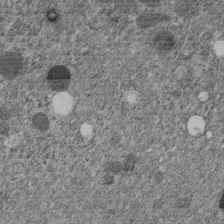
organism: C. elegans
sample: C. elegans embryo early stage